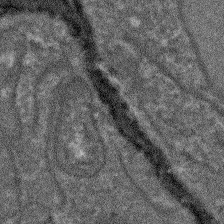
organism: Arabidopsis thaliana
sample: Root tip